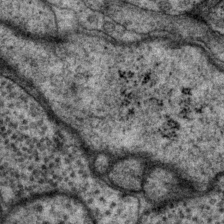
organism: P. pacificus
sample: Pharynx